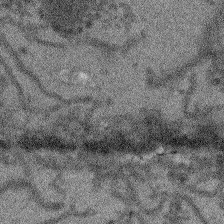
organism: Arabidopsis thaliana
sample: Root tip